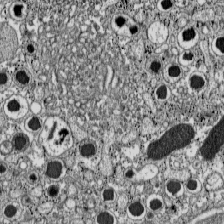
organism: C57BL Mouse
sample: Pancreatic islet